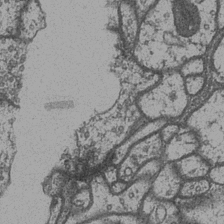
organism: Drosophila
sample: Optic medulla